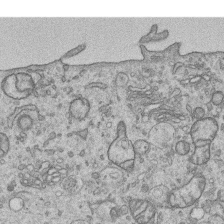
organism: Human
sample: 1205lu cells